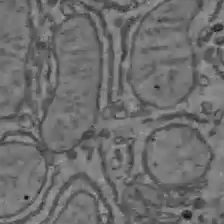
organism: C57BL Mouse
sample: Liver